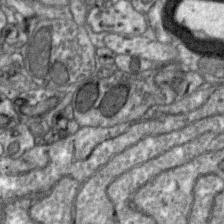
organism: Zebra finch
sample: Brain